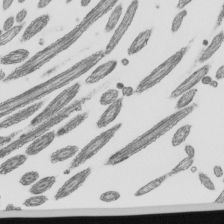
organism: Mouse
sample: Mouse epididymis efferent ductule cilia